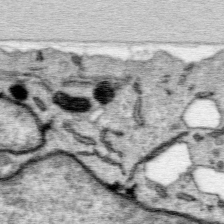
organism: Human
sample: HeLa cells